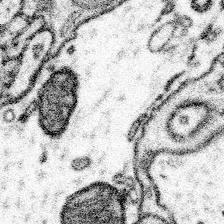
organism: Mouse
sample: Somatosensory cortex neuropil